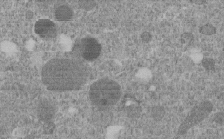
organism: C. elegans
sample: C. elegans embryo early stage